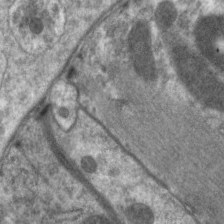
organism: C. elegans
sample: Pharynx